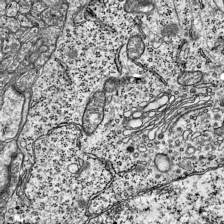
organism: Mouse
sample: Visual Cortex